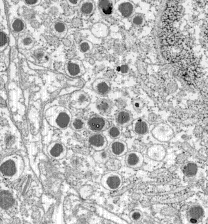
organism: C57BL Mouse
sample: Pancreatic islet